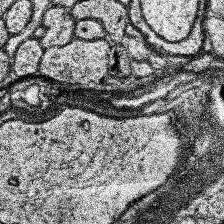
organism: Human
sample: Temporal Lobe